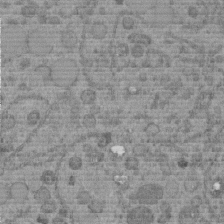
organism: C. elegans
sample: C. elegans embryo early stage